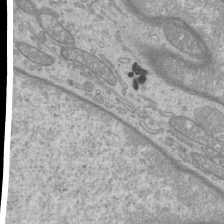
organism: Mouse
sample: Cilia; mouse epididymis